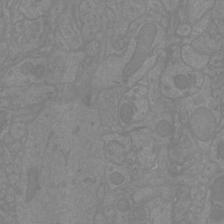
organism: Mouse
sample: Cortical neurons